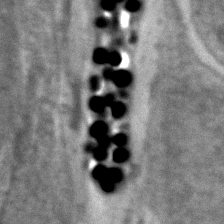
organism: Zebrafish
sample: Zebrafish embryo